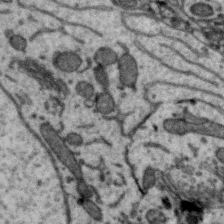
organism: Zebra finch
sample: Brain